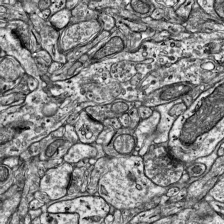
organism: Mouse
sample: Visual Cortex